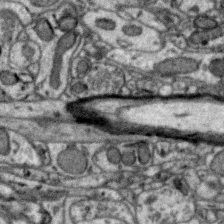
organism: Zebra finch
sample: Brain